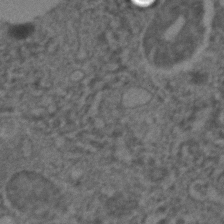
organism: C. elegans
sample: C. elegans embryo